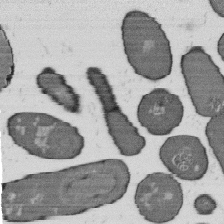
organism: B. subtilis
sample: Bacterial spore